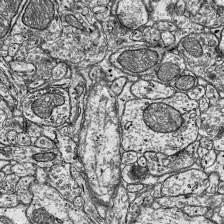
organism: Mouse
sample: Visual Cortex